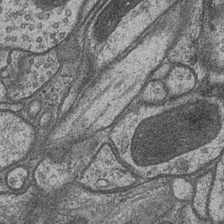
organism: Drosophila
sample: Optic medulla